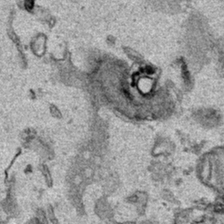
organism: Human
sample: Mitochondria in HCT116 cells